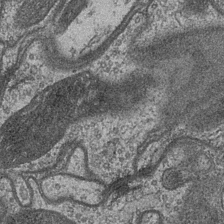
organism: Drosophila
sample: Optic medulla